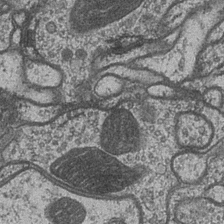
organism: Drosophila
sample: Optic medulla